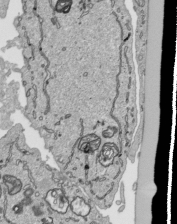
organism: Human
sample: Mitochondria in HCT116 cells